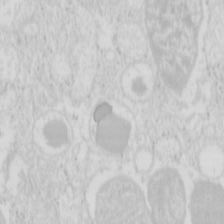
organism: Mouse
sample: Pancreas